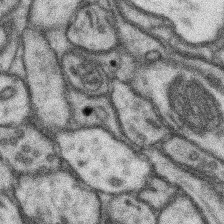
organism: Mouse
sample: Somatosensory cortex neuropil